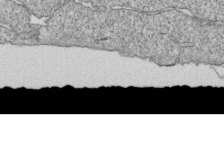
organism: Human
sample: HeLa cell HIV synapse